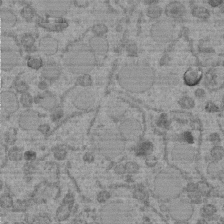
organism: C. elegans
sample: C. elegans embryo early stage